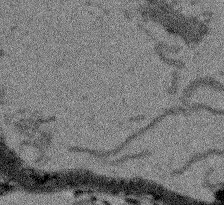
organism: Arabidopsis thaliana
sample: Root tip